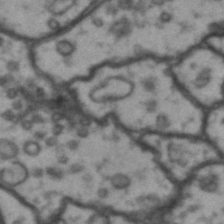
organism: Drosophila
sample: Brain